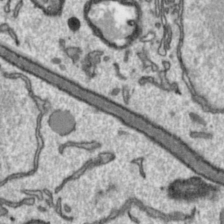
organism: Toxoplasma gondii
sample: Parasites in a vacuole inside a host cell